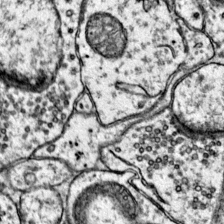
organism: Mouse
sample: Primary visual cortex